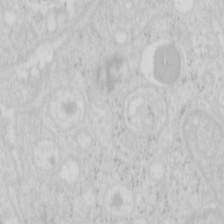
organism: Mouse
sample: Pancreas